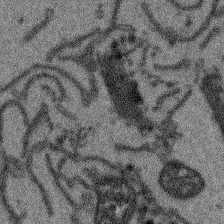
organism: Arabidopsis thaliana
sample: Root tip